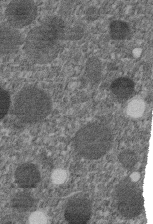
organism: C. elegans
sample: C. elegans embryo early stage